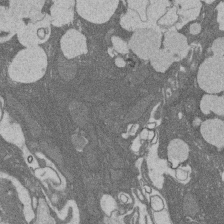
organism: Rat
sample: Salivary granule